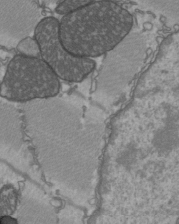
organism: C57BL Mouse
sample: Heart